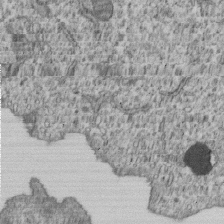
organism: Human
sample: MDA-MB-231 cells